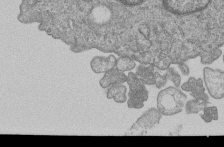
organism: Human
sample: MDA-MB-231 cells